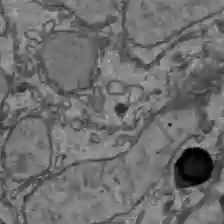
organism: C57BL Mouse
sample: Liver